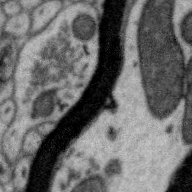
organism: Zebra finch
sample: Brain